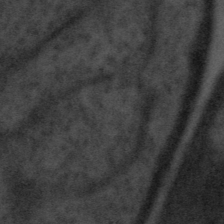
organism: Tuwongella immobilis